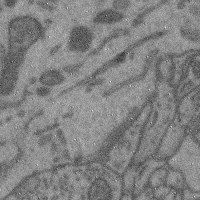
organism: Mouse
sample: Cerebral cortex